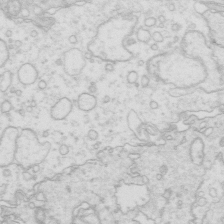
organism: Mouse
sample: Multiciliated cells